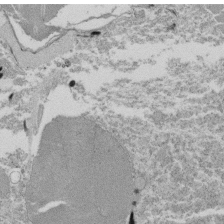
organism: Tetrahymena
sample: Cilia in tetrahymena